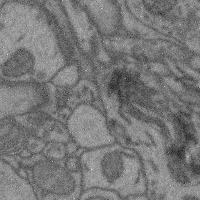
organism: Mouse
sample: Cerebral cortex